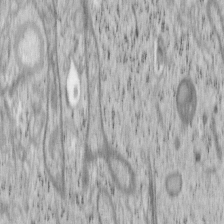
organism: Human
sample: HeLa cells